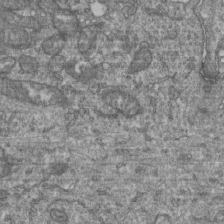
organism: Human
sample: Retinal organoid Rod and Cone cells